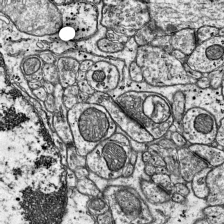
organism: Mouse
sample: Visual Cortex